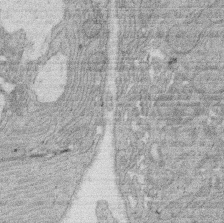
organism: Rat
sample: Salivary granule